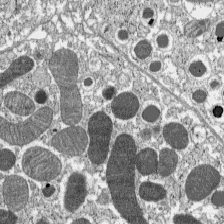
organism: C57BL Mouse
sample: Pancreatic islet